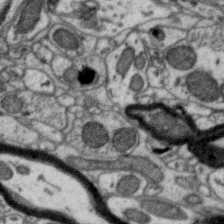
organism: Zebra finch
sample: Brain